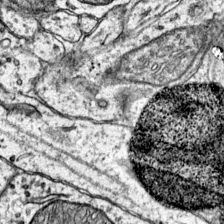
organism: Mouse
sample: Primary visual cortex